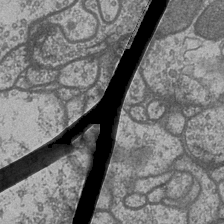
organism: Drosophila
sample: Optic medulla